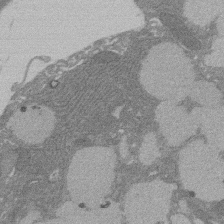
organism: Rat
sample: Salivary granule